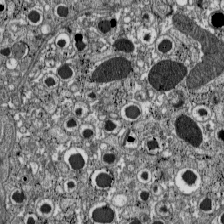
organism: C57BL Mouse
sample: Pancreatic islet